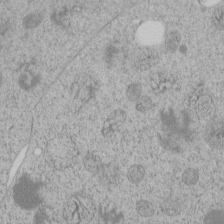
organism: C. elegans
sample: C. elegans embryo early stage